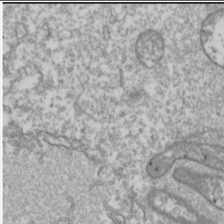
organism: Drosophila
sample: Cell division; meiosis; drosophila spermatocytes